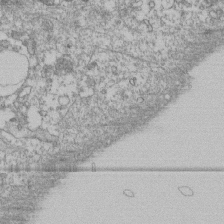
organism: Human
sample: Fibroblast cells